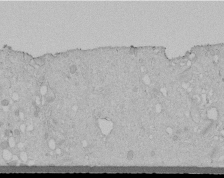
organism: Human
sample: Melanocyte Keratinocyte synapse skin construct